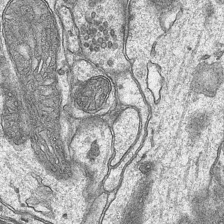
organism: Mouse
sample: CA1 Hippocampus